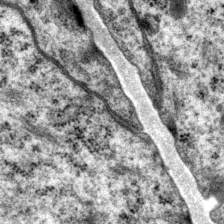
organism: P. pacificus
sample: Pharynx